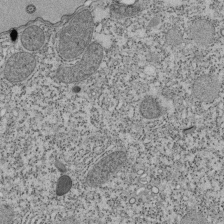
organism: Tetrahymena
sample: Cilia in tetrahymena